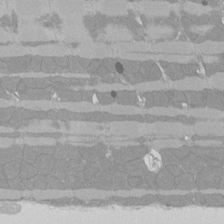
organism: Rat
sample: Left ventricle